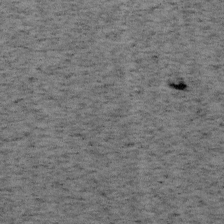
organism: Mouse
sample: OT-I killer T cells with ID8 ovarian cancer cells